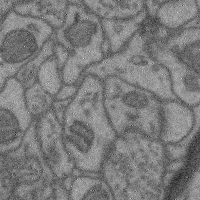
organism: Mouse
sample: Cerebral cortex